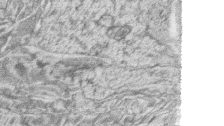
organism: Zebrafish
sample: synaptic ribbons in rod cells and cone cells